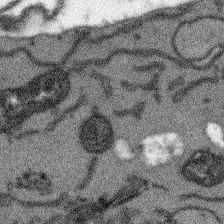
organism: Arabidopsis thaliana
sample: Root tip